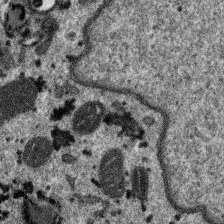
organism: Human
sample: Lung epithelial cells infected with SARS-CoV-2